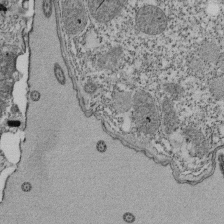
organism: Tetrahymena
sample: Cilia in tetrahymena